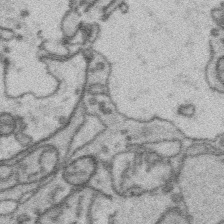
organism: Platynereis dumerilii